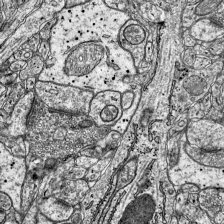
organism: Mouse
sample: Visual Cortex